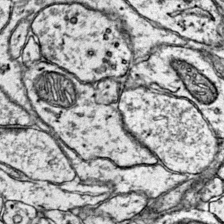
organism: Mouse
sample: Primary visual cortex